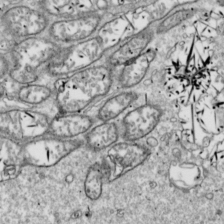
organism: Drosophila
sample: Cell division; meiosis; drosophila spermatocytes